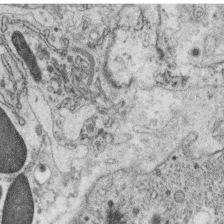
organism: C. elegans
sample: C. elegans oocyte; sperm cells